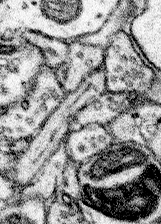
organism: Mouse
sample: Somatosensory cortex neuropil